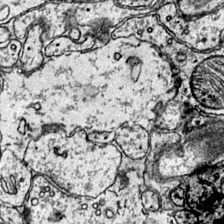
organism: Mouse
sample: Primary visual cortex